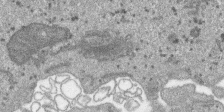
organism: Human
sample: Lung epithelial cells infected with SARS-CoV-2